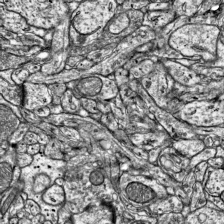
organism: Mouse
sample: Visual Cortex